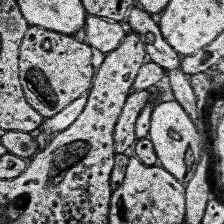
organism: Human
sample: Temporal Lobe